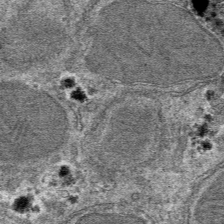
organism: Mouse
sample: Mouse hepatocytes